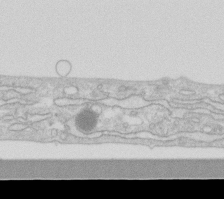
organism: Human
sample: Fibroblast cells